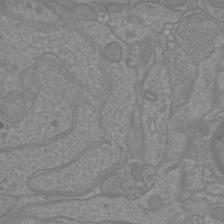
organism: Mouse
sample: Cortical neurons